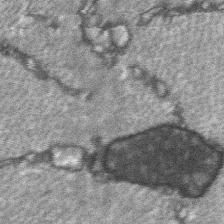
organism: C57BL Mouse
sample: Soleus